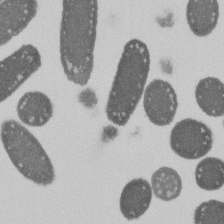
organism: E. coli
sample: Bacterial nucleoid